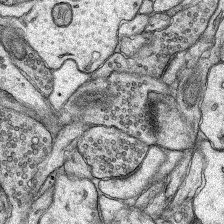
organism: Rat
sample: Hippocampus